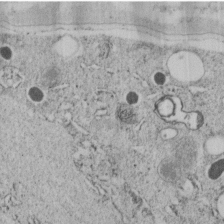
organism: C. elegans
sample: C. elegans embryo early stage